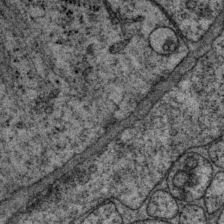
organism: P. pacificus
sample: Pharynx